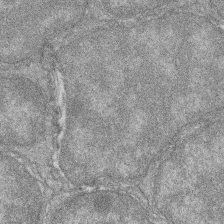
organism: Zebrafish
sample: Cilia; retinal pigment epithelium